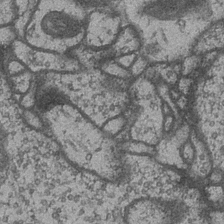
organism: Drosophila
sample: Optic medulla